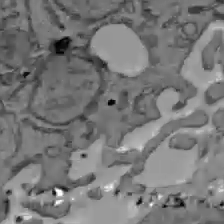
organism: C57BL Mouse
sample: Liver